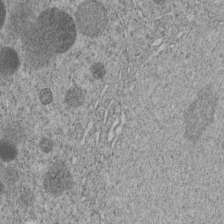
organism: C. elegans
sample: C. elegans embryo early stage